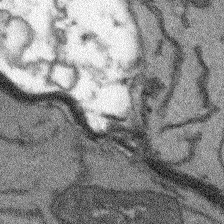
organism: Arabidopsis thaliana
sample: Root tip